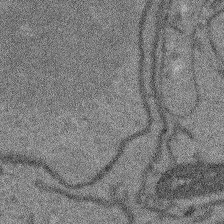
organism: Arabidopsis thaliana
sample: Root tip